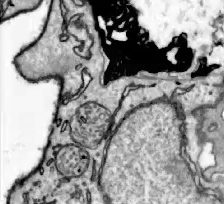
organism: Zebrafish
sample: Actinotrichia fibers